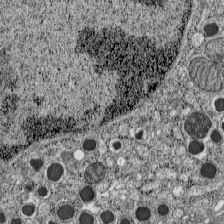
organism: C57BL Mouse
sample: Pancreatic islet